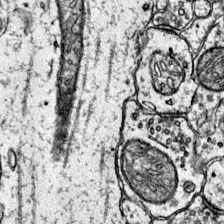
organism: Mouse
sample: Primary visual cortex